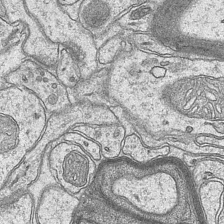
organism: Mouse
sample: CA1 Hippocampus